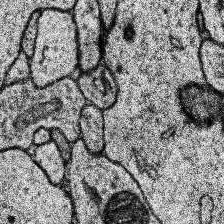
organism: Human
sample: Temporal Lobe